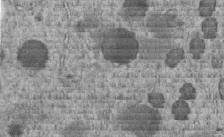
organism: C. elegans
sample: C. elegans embryo early stage